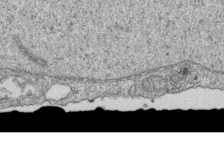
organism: Human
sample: HeLa cell HIV synapse